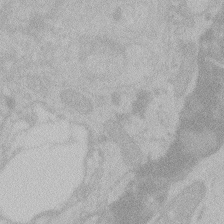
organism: Zebrafish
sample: Macrophage infected with Toxoplasma gondii